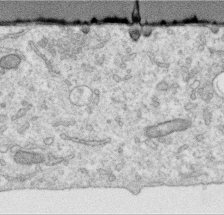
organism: Human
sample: Centriole in RPE cells